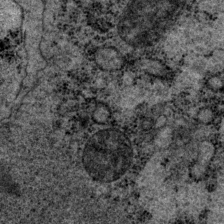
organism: P. pacificus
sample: Pharynx